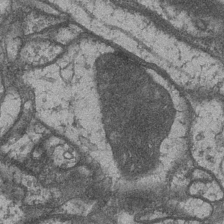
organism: Drosophila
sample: Optic medulla